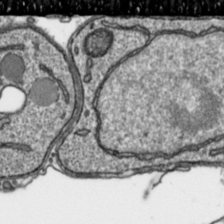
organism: Toxoplasma gondii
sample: Parasites in a vacuole inside a host cell